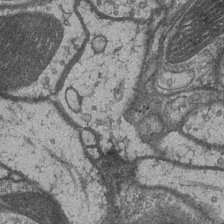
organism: Drosophila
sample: Optic medulla